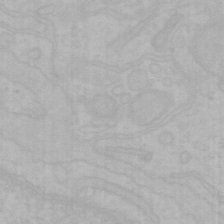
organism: Mouse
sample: Choroid plexus